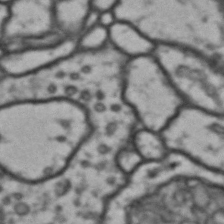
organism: Drosophila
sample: Brain